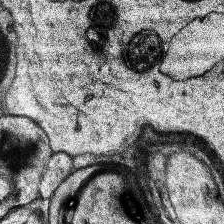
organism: Human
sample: Temporal Lobe